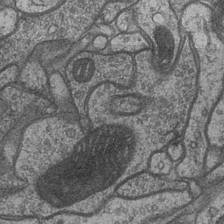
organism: Drosophila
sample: Optic medulla